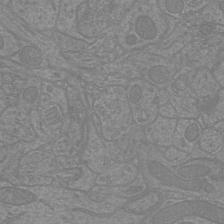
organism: Mouse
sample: Cortical neurons